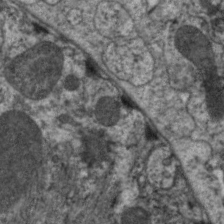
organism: C. elegans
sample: Pharynx